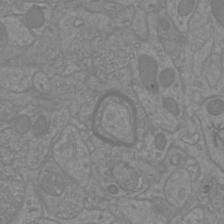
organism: Mouse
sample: Cortical neurons